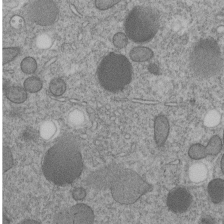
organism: C. elegans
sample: C. elegans embryo early stage